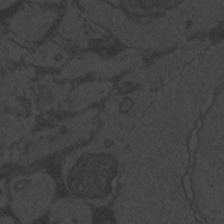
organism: Zebrafish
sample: Macrophage infected with Toxoplasma gondii